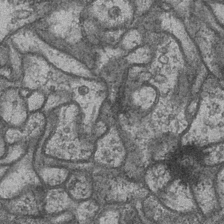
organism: Drosophila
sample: Optic medulla